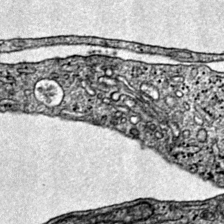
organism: Mouse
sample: Primary visual cortex